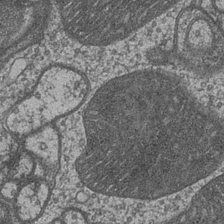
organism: Drosophila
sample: Optic medulla